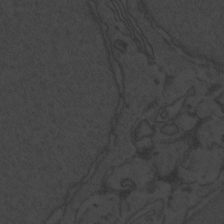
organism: Zebrafish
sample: Macrophage infected with Toxoplasma gondii